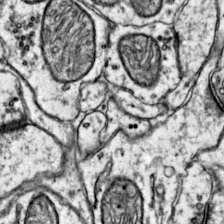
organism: Mouse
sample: Primary visual cortex